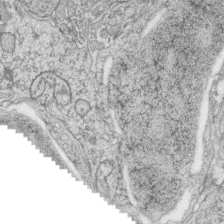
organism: Zebrafish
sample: synaptic ribbons in rod cells and cone cells